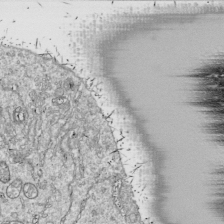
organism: Drosophila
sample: Cell division; meiosis; drosophila spermatocytes